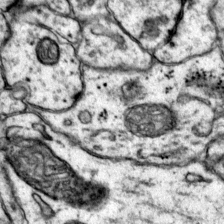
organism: Mouse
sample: Primary visual cortex